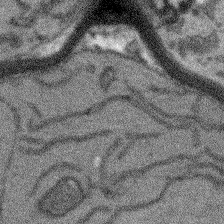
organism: Arabidopsis thaliana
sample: Root tip